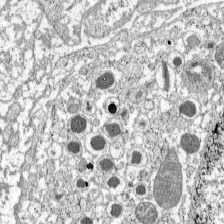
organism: C57BL Mouse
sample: Pancreatic islet